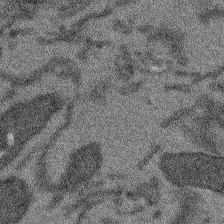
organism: Arabidopsis thaliana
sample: Root tip